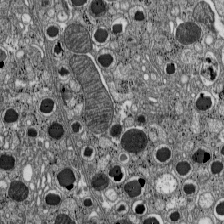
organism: C57BL Mouse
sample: Pancreatic islet